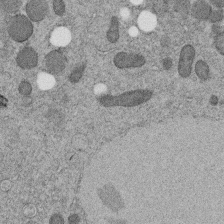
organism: C. elegans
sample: C. elegans embryo early stage